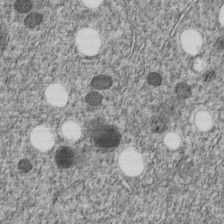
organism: C. elegans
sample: C. elegans embryo early stage